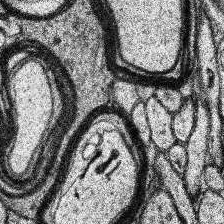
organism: Human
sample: Temporal Lobe